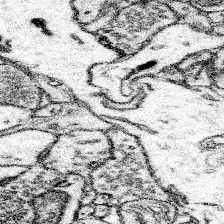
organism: Mouse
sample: Somatosensory cortex neuropil